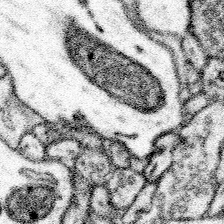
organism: Mouse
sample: Somatosensory cortex neuropil